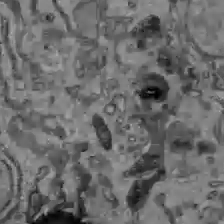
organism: C57BL Mouse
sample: Liver